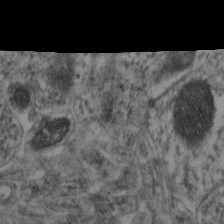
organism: Mouse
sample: Neocortex